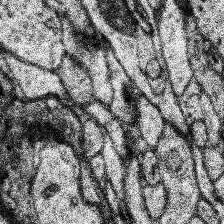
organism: Human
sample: Temporal Lobe